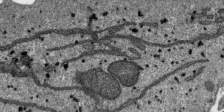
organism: Human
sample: Lung epithelial cells, uninfected (mock) control